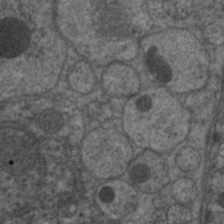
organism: C. elegans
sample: Pharynx